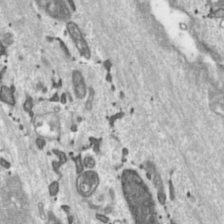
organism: Toxoplasma gondii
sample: Parasites in a vacuole inside a host cell